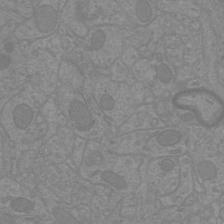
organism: Mouse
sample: Cortical neurons